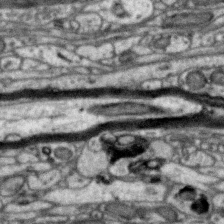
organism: Zebra finch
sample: Brain